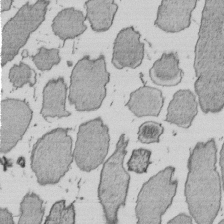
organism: E. coli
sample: Bacterial nucleoid